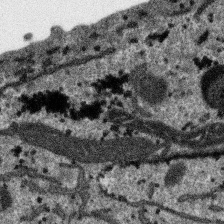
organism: Human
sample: Lung epithelial cells infected with SARS-CoV-2